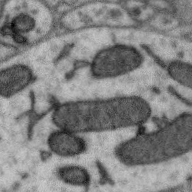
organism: Zebra finch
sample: Brain